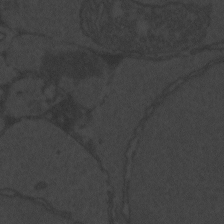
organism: Zebrafish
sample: Macrophage infected with Toxoplasma gondii